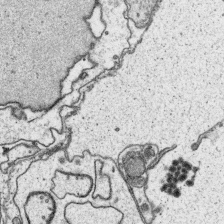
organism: Platynereis dumerilii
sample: Parapodia